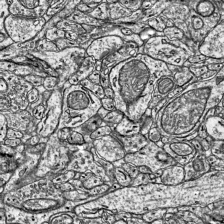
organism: Mouse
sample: Visual Cortex